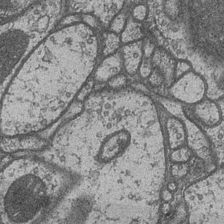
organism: Drosophila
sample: Optic medulla